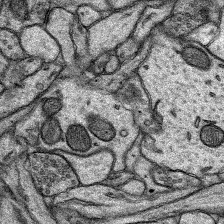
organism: Rat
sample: Hippocampus